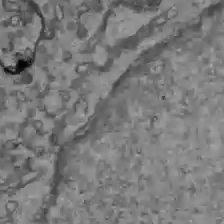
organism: C57BL Mouse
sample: Liver